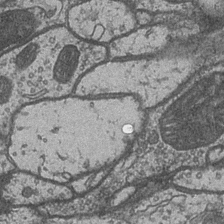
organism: Drosophila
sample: Optic medulla